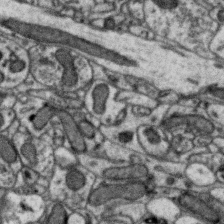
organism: Zebra finch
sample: Brain